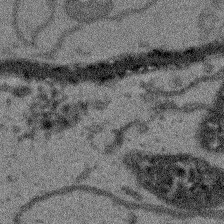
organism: Arabidopsis thaliana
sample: Root tip